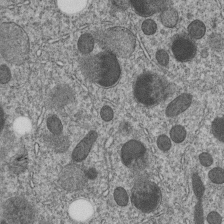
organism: C. elegans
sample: C. elegans embryo early stage